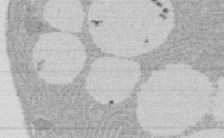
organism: Rat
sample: Salivary granule